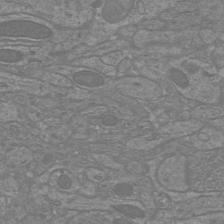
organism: Mouse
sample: Cortical neurons